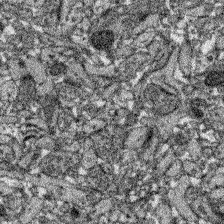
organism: Zebrafish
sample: Larval olfactory bulb